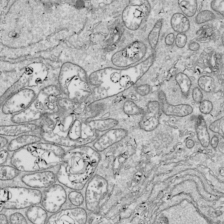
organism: Drosophila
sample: Cell division; meiosis; drosophila spermatocytes